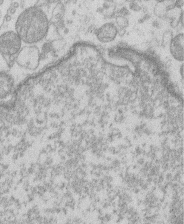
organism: Human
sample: Macrophage cells